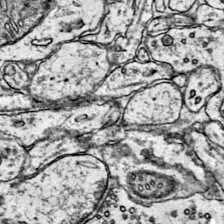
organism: Mouse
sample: Primary visual cortex